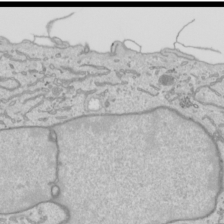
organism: Human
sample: Mitochondria in HCT116 cells